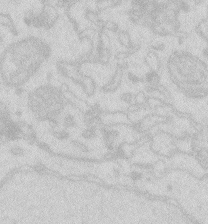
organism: Zebrafish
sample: Macrophage